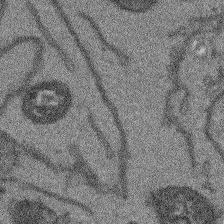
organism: Arabidopsis thaliana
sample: Root tip